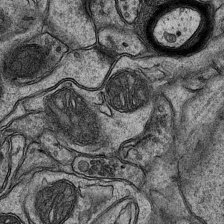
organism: Mouse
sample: CA1 Hippocampus